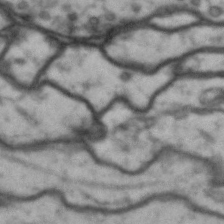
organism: Drosophila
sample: Brain